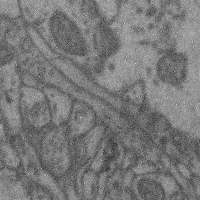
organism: Mouse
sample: Cerebral cortex